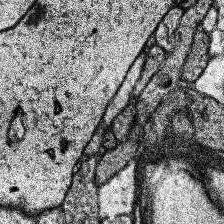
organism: Human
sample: Temporal Lobe